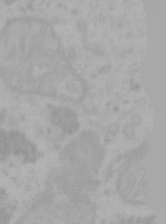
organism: Mouse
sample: Choroid plexus